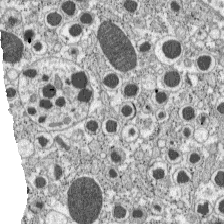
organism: C57BL Mouse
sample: Pancreatic islet